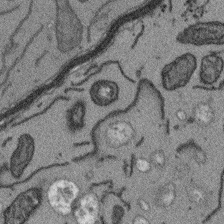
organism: Arabidopsis thaliana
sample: Root tip